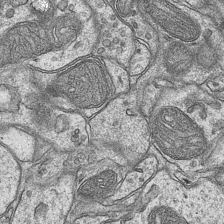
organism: Mouse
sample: CA1 Hippocampus